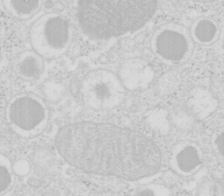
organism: Mouse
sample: Pancreas